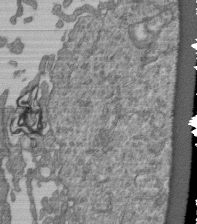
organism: Human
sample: Retinal organoid Rod and Cone cells